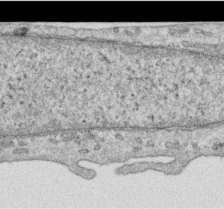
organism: Human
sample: Centriole in RPE cells